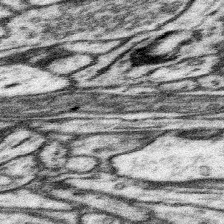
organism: Mouse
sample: Somatosensory cortex neuropil